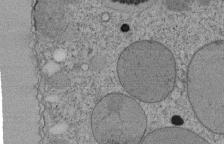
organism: Tetrahymena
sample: Cilia in tetrahymena